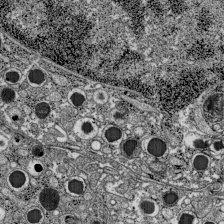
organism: C57BL Mouse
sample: Pancreatic islet